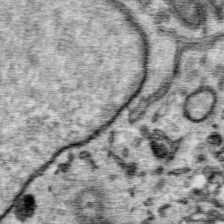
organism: Human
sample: HeLa cells